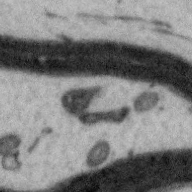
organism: Zebra finch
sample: Brain